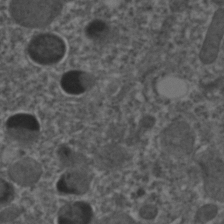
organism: C. elegans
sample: C. elegans embryo